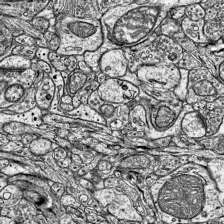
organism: Mouse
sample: Visual Cortex